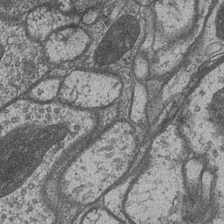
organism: Drosophila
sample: Optic medulla